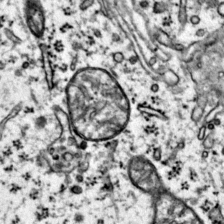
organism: Mouse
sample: Primary visual cortex